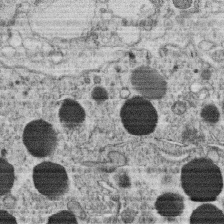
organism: C. elegans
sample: C. elegans oocyte; sperm cells